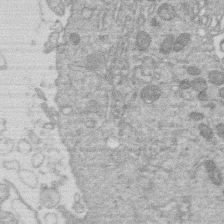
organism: Human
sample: Macrophage cells